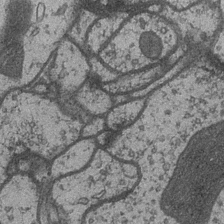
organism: Drosophila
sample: Optic medulla